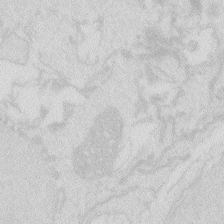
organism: Zebrafish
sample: Macrophage